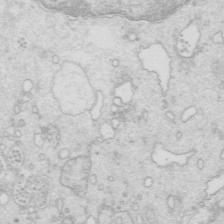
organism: Mouse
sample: Multiciliated cells